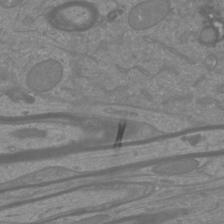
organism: Mouse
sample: Cortical neurons